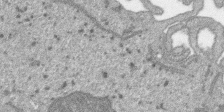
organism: Human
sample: Lung epithelial cells infected with SARS-CoV-2